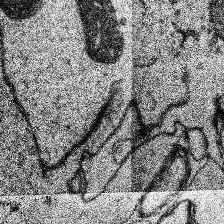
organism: Human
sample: Temporal Lobe